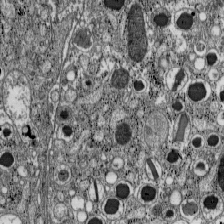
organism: C57BL Mouse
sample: Pancreatic islet